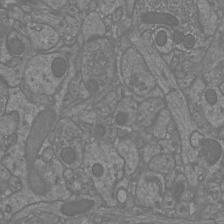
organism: Mouse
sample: Cortical neurons